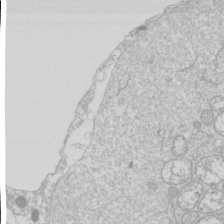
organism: Drosophila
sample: Cell division; meiosis; drosophila spermatocytes